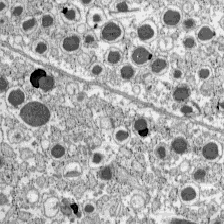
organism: C57BL Mouse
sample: Pancreatic islet